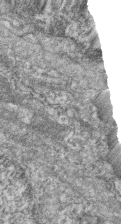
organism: Zebrafish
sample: Cilia; retinal pigment epithelium